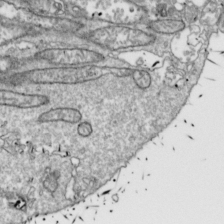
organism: Drosophila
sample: Cell division; meiosis; drosophila spermatocytes